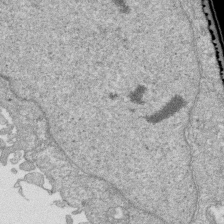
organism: Human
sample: HeLa cell HIV synapse